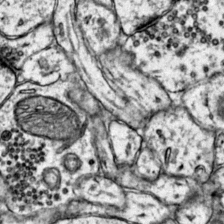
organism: Mouse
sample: Primary visual cortex